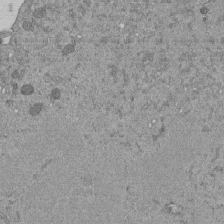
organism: Mouse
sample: ED-1 cell nuclei; centrioles